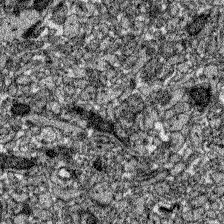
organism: Zebrafish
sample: Larval olfactory bulb